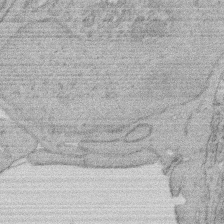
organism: Rat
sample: Salivary granule